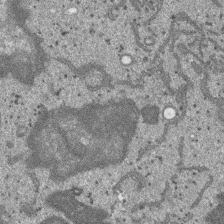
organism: Human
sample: Lung epithelial cells infected with SARS-CoV-2